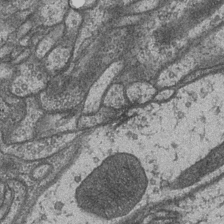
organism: Drosophila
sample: Optic medulla